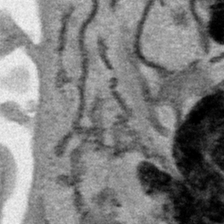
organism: Human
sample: Mitochondria in HCT116 cells